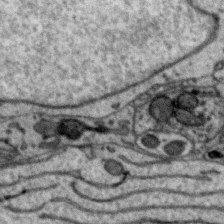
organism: Zebra finch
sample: Brain